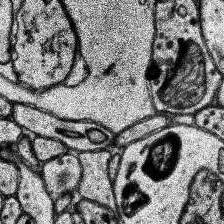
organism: Human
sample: Temporal Lobe